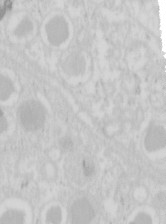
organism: Mouse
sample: Pancreas